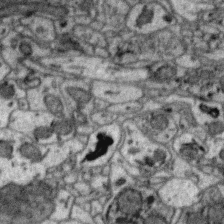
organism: Zebra finch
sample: Brain